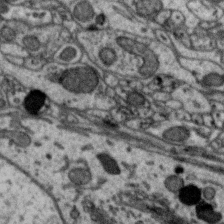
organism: Zebra finch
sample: Brain